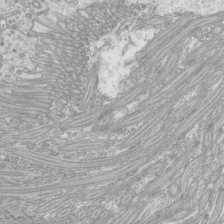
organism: Mouse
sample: Cilia; mouse epididymis